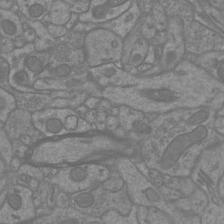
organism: Mouse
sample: Cortical neurons